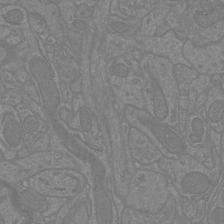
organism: Mouse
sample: Cortical neurons